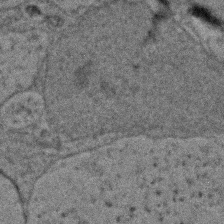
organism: Zebrafish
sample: Zebrafish embryo